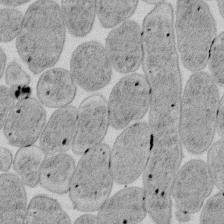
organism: E. coli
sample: Bacterial nucleoid